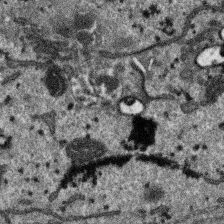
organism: Human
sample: Lung epithelial cells infected with SARS-CoV-2